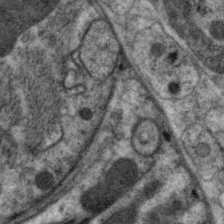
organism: C. elegans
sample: Pharynx